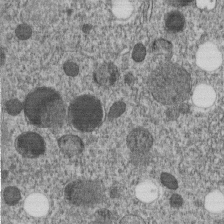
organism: C. elegans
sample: C. elegans embryo early stage